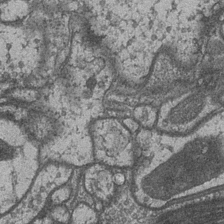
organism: Drosophila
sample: Optic medulla